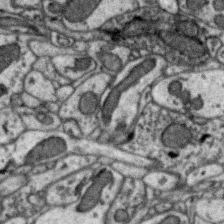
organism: Zebra finch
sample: Brain